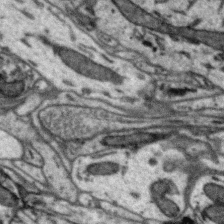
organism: Zebra finch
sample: Brain